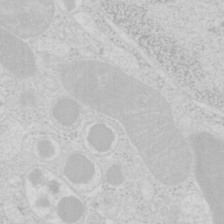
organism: Mouse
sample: Pancreas